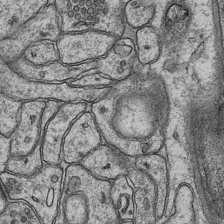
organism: Mouse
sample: CA1 Hippocampus